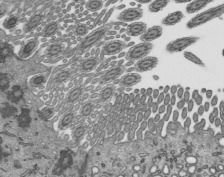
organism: Mouse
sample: Mouse epididymis efferent ductule cilia